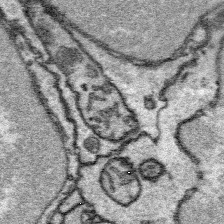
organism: Platynereis dumerilii